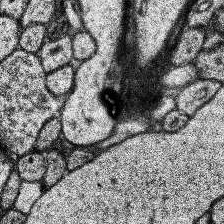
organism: Human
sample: Temporal Lobe